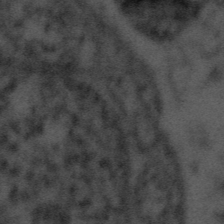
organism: Tuwongella immobilis